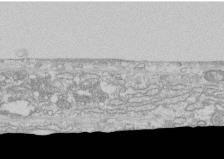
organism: Human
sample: CRL-1474